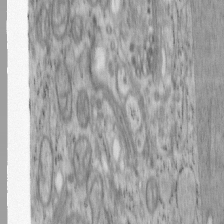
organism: Human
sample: HeLa cells